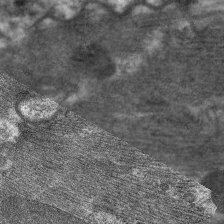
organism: C. elegans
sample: Pharynx